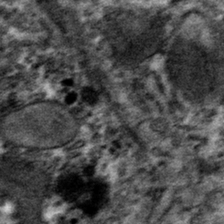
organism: Mouse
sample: Mouse hepatocytes